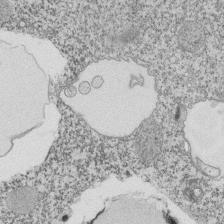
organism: Tetrahymena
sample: Cilia in tetrahymena